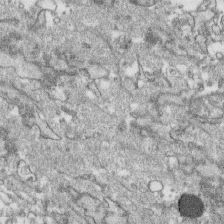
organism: Human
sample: CRL-1474